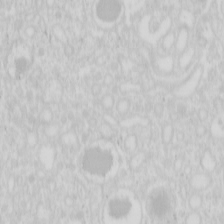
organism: Mouse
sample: Pancreas